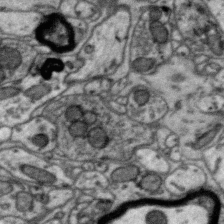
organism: Zebra finch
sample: Brain